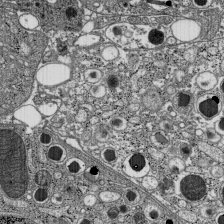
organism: C57BL Mouse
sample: Pancreatic islet